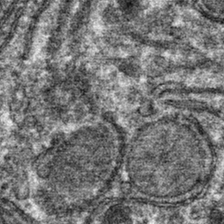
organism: Mouse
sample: Mouse hepatocytes